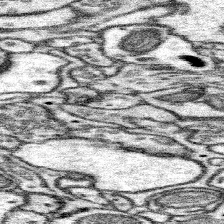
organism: Mouse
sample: Somatosensory cortex neuropil